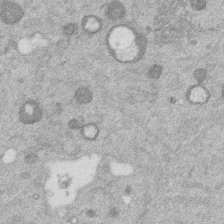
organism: Mouse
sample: Dividing mouse embryo 1 cell stage